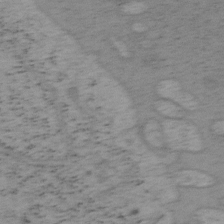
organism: Mouse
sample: OT-I killer T cells with ID8 ovarian cancer cells